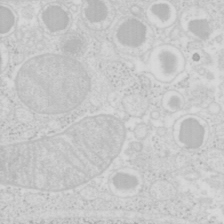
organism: Mouse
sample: Pancreas